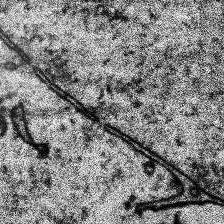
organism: Human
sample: Temporal Lobe